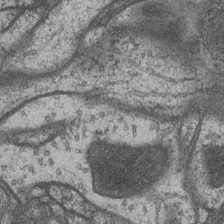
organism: Drosophila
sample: Optic medulla